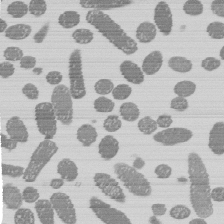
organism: E. coli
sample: Bacterial nucleoid